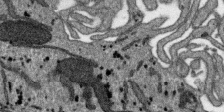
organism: Human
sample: Lung epithelial cells, uninfected (mock) control